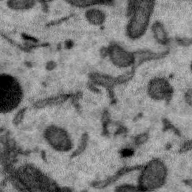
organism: Zebra finch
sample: Brain